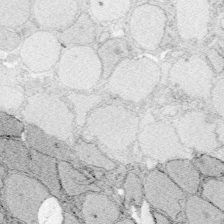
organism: Zebrafish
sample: Whole-Brain